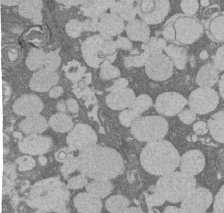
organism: Rat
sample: Salivary granule